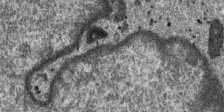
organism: Human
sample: Lung epithelial cells infected with SARS-CoV-2